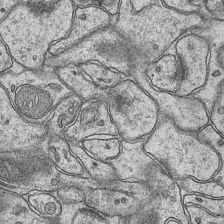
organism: Mouse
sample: CA1 Hippocampus